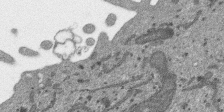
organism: Human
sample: Lung epithelial cells infected with SARS-CoV-2